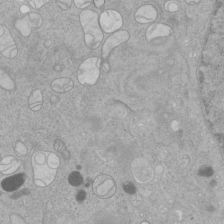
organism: Human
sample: Mitochondria in HCT116 cells